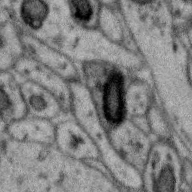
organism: Zebra finch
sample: Brain